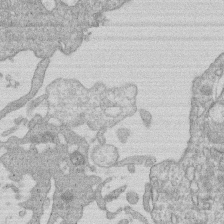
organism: Human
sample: Macrophage cells